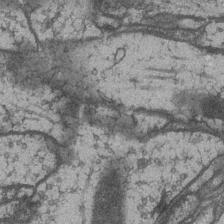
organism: Drosophila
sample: Optic medulla